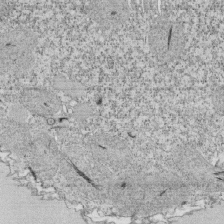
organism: Tetrahymena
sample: Cilia in tetrahymena